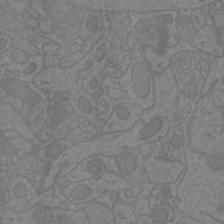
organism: Mouse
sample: Cortical neurons